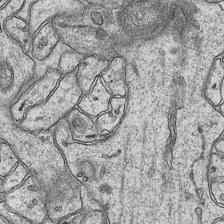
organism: Mouse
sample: CA1 Hippocampus